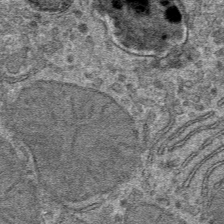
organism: Mouse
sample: Mouse hepatocytes